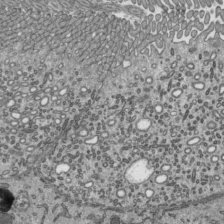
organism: Mouse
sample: Mouse epididymis efferent ductule cilia